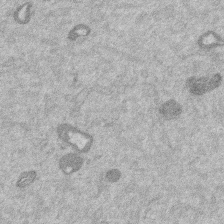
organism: Mouse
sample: Dividing mouse embryo 1 cell stage